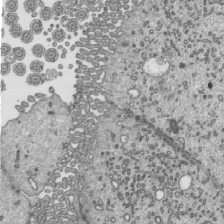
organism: Mouse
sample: Mouse epididymis efferent ductule cilia